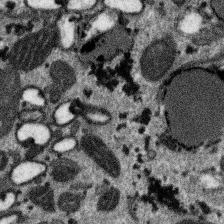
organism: Human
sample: Lung epithelial cells infected with SARS-CoV-2